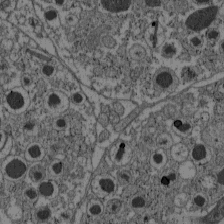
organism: C57BL Mouse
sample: Pancreatic islet